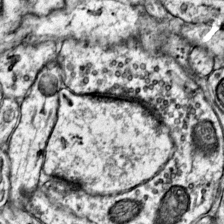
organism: Mouse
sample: Primary visual cortex